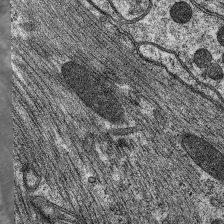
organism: C. elegans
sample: Pharynx